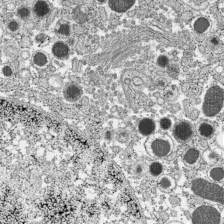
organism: C57BL Mouse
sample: Pancreatic islet